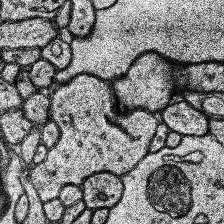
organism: Human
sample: Temporal Lobe